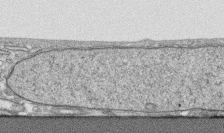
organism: Human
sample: CRL-1474